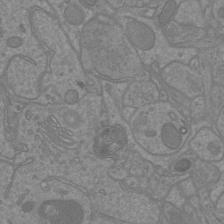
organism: Mouse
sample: Cortical neurons